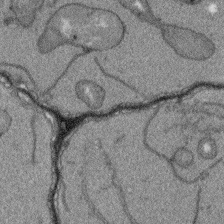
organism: Arabidopsis thaliana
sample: Root tip